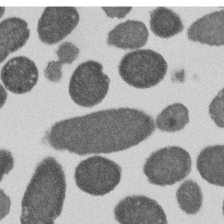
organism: E. coli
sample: Bacterial nucleoid